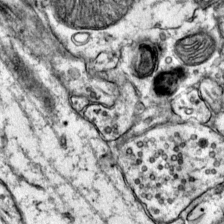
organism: Mouse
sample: Primary visual cortex